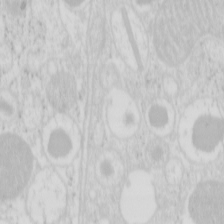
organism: Mouse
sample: Pancreas